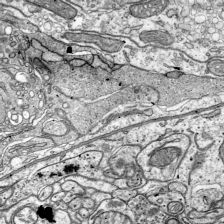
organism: Mouse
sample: Visual Cortex